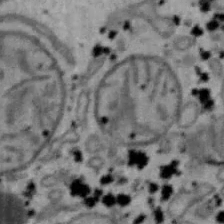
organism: Mouse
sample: Liver